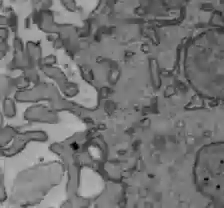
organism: C57BL Mouse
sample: Liver